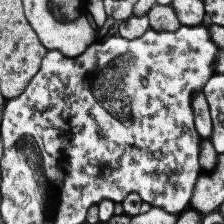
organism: Human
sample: Temporal Lobe